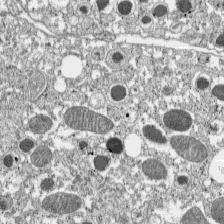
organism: C57BL Mouse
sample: Pancreatic islet